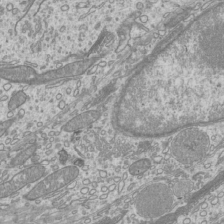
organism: Mouse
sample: Cilia; mouse epididymis